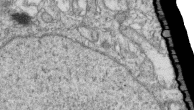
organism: Human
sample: HeLa cell HIV synapse